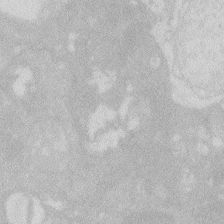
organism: Zebrafish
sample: Macrophage